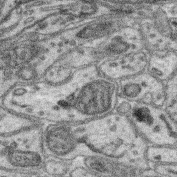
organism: Mouse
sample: Retina